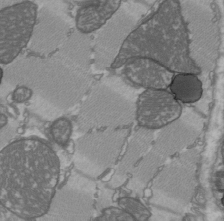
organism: C57BL Mouse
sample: Heart